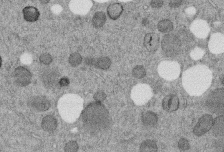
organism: C. elegans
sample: C. elegans embryo early stage